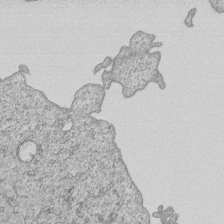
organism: Human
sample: MDA-MB-231 cells